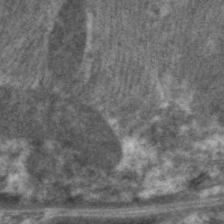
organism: C. elegans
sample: Pharynx